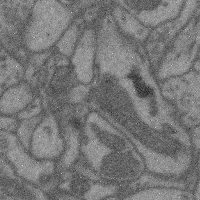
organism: Mouse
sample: Cerebral cortex